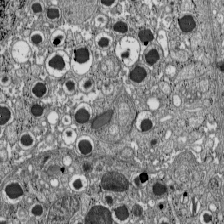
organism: C57BL Mouse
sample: Pancreatic islet